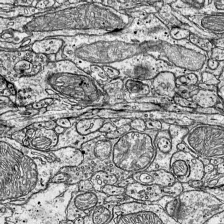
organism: Mouse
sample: Visual Cortex